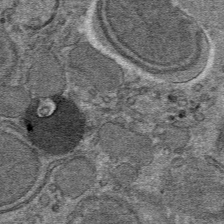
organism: Mouse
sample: Mouse hepatocytes